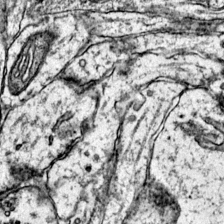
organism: Mouse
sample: Primary visual cortex